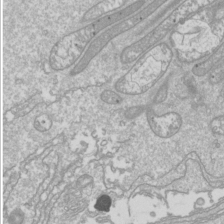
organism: Drosophila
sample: Cell division; meiosis; drosophila spermatocytes